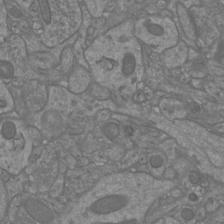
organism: Mouse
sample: Cortical neurons